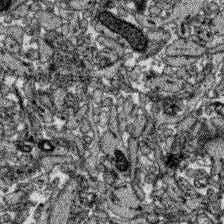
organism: Zebrafish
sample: Larval olfactory bulb